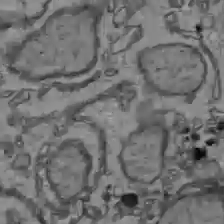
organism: C57BL Mouse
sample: Liver